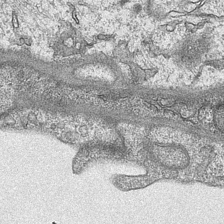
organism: Mouse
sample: CA1 Hippocampus